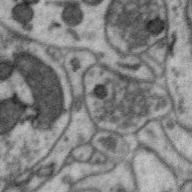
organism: Zebra finch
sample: Brain